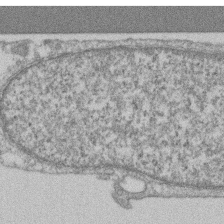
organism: Mouse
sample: T cell stromal cell synapse